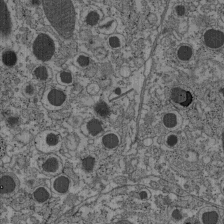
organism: C57BL Mouse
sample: Pancreatic islet